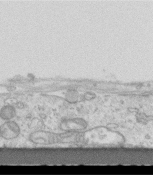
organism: Mouse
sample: Centriole in ependymal cells